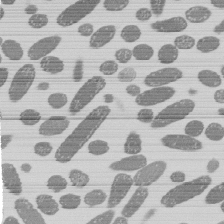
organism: E. coli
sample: Bacterial nucleoid